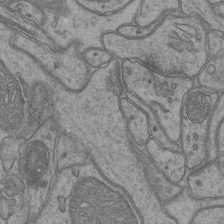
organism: Mouse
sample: CA1 Hippocampus